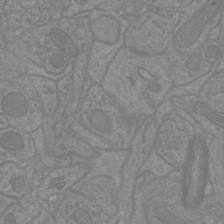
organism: Mouse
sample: Cortical neurons